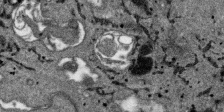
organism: Human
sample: Lung epithelial cells, uninfected (mock) control